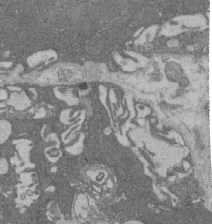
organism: Rat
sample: Salivary granule